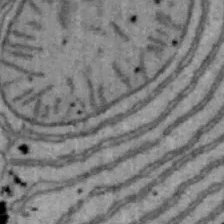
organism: Mouse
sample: Liver